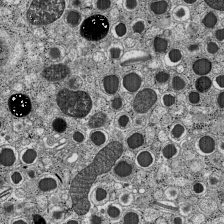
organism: C57BL Mouse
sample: Pancreatic islet